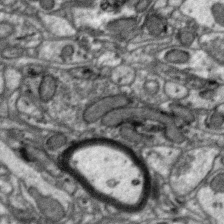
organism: Zebra finch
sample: Brain